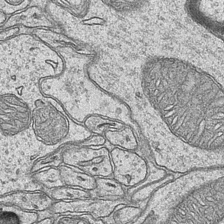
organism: Mouse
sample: CA1 Hippocampus